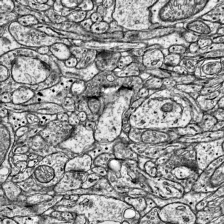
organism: Mouse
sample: Visual Cortex